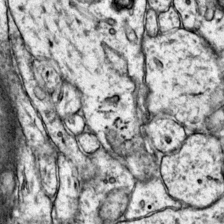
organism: Mouse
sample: Primary visual cortex